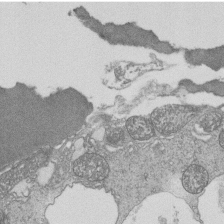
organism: Tetrahymena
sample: Cilia in tetrahymena